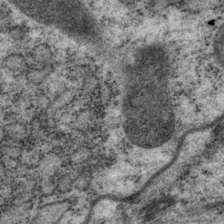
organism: P. pacificus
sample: Pharynx